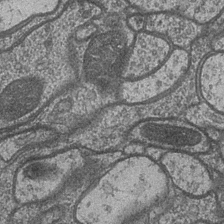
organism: Drosophila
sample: Optic medulla